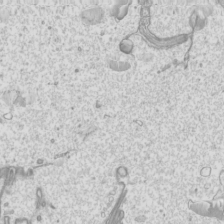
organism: Mouse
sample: Cilia; mouse epididymis